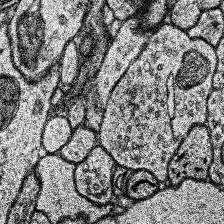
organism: Human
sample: Temporal Lobe